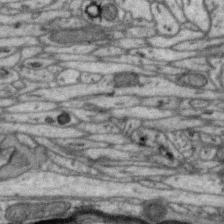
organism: Zebra finch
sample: Brain